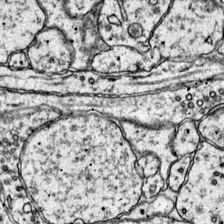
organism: Mouse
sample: Primary visual cortex